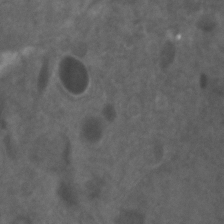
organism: Zebrafish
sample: Zebrafish embryo